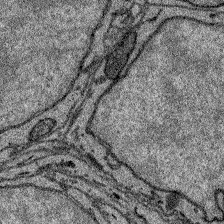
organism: Zebrafish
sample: Larval olfactory bulb